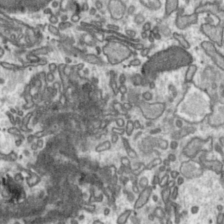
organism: Toxoplasma gondii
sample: Parasites in a vacuole inside a host cell